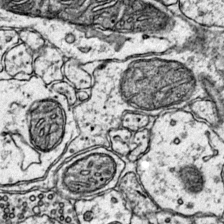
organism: Mouse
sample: Primary visual cortex